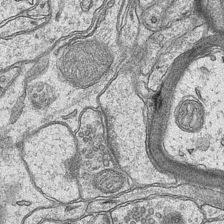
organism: Mouse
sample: CA1 Hippocampus